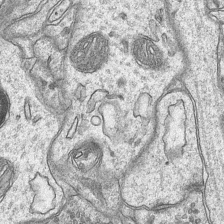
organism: Mouse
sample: CA1 Hippocampus